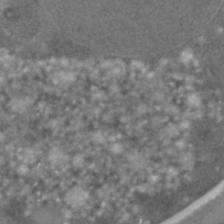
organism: C. elegans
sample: C. elegans embryo